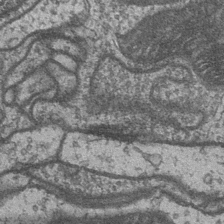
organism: Drosophila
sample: Optic medulla